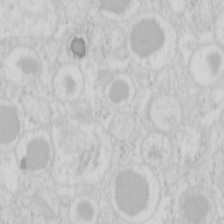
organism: Mouse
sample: Pancreas